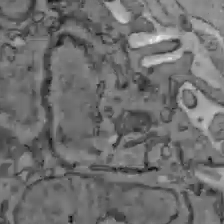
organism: C57BL Mouse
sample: Liver